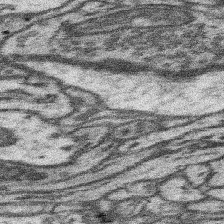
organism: Mouse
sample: Somatosensory cortex neuropil